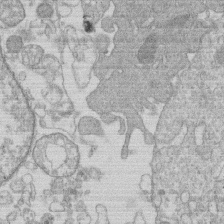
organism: Human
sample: Macrophage cells